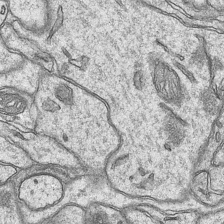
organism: Mouse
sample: CA1 Hippocampus